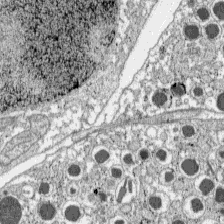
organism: C57BL Mouse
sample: Pancreatic islet